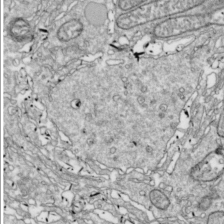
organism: Drosophila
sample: Cell division; meiosis; drosophila spermatocytes